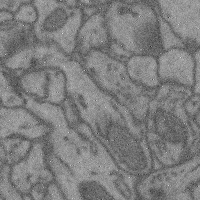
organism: Mouse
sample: Cerebral cortex